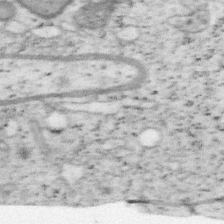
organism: Mouse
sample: OT-I killer T cells with ID8 ovarian cancer cells